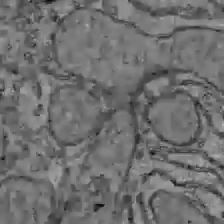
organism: C57BL Mouse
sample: Liver